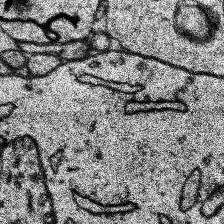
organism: Human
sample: Temporal Lobe